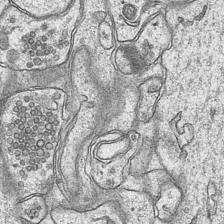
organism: Mouse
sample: CA1 Hippocampus